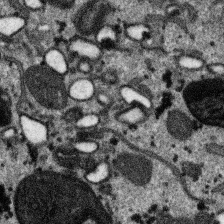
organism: Human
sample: Lung epithelial cells infected with SARS-CoV-2